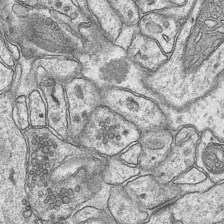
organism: Mouse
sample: CA1 Hippocampus